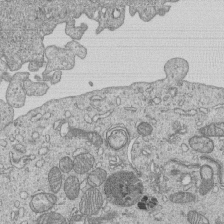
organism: Human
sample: MDA-MB-231 cells